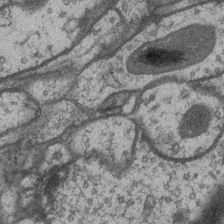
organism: Drosophila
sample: Optic medulla